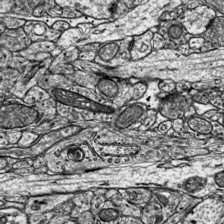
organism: Mouse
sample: Visual Cortex